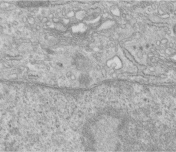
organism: Human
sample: Centriole in fibroblast cells